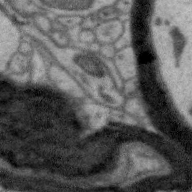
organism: Zebra finch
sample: Brain